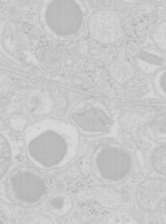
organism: Mouse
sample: Pancreas